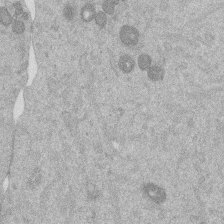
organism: Mouse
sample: Dividing mouse embryo 1 cell stage